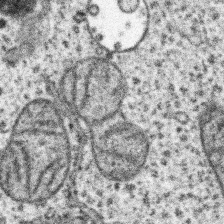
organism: Human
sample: HeLa cells